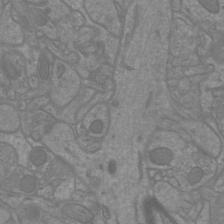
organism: Mouse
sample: Cortical neurons